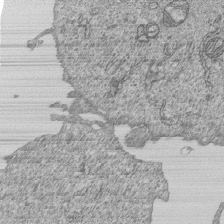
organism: Human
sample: MDA-MB-231 cells